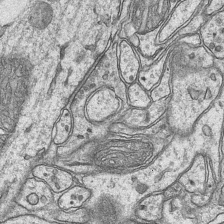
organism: Mouse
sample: CA1 Hippocampus